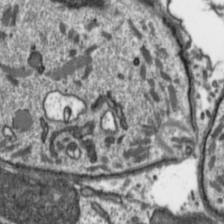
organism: Toxoplasma gondii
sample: Parasites in a vacuole inside a host cell